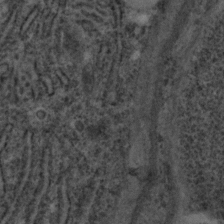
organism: C. elegans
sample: C. elegans embryo